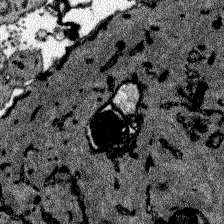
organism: Zebrafish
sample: Larval olfactory bulb